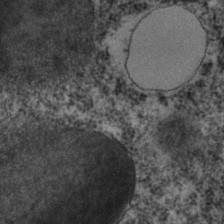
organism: C. elegans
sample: C. elegans embryo